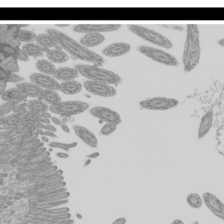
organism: Mouse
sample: Cilia; mouse epididymis